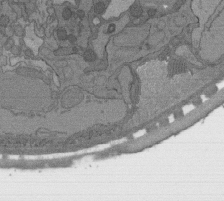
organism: C. elegans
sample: AFD neurons C. elegans